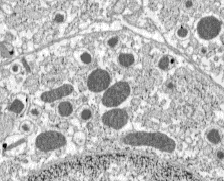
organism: C57BL Mouse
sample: Pancreatic islet